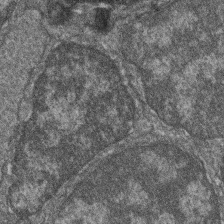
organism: Zebrafish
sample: Cilia; retinal pigment epithelium